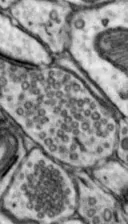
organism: Mouse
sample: Nucleus accumbens